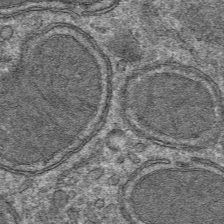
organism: Mouse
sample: Mouse hepatocytes